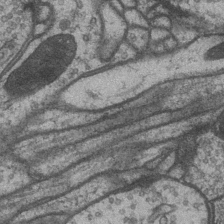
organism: Drosophila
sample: Optic medulla